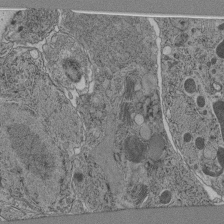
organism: C. elegans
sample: C. elegans pharynx